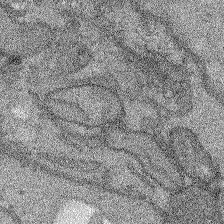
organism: Human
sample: HeLa cells